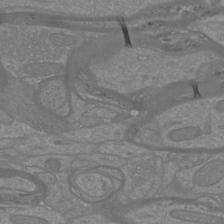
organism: Mouse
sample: Cortical neurons